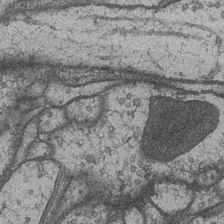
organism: Drosophila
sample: Optic medulla